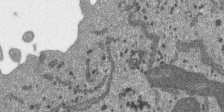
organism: Human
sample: Lung epithelial cells infected with SARS-CoV-2